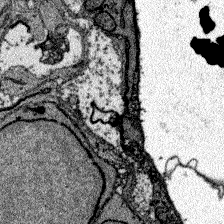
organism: Zebrafish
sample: Larval olfactory bulb